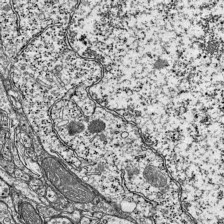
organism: Mouse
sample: Visual Cortex